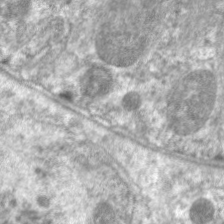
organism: C. elegans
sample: Pharynx